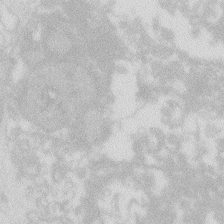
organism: Zebrafish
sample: Macrophage